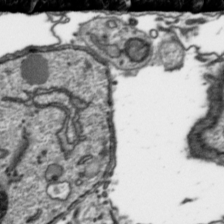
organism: Toxoplasma gondii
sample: Parasites in a vacuole inside a host cell